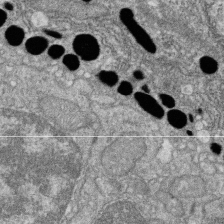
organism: Zebrafish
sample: Cilia; retinal pigment epithelium